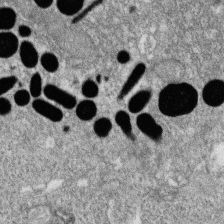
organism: Zebrafish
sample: Cilia; retinal pigment epithelium